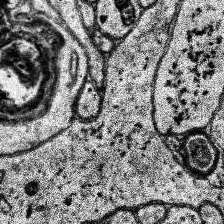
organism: Human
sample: Temporal Lobe